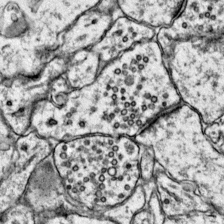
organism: Mouse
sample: Primary visual cortex